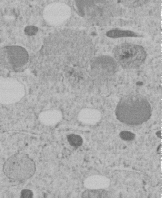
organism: C. elegans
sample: C. elegans embryo early stage